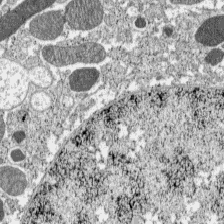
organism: C57BL Mouse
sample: Pancreatic islet